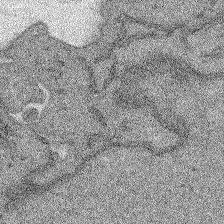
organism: Human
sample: HeLa cells